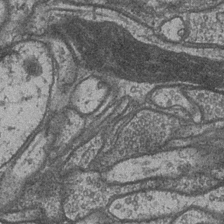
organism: Drosophila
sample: Optic medulla